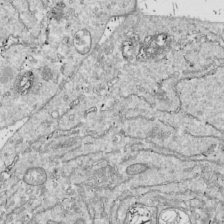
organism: Drosophila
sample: Cell division; meiosis; drosophila spermatocytes